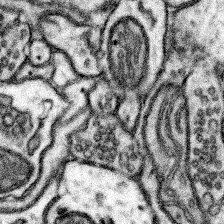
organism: Mouse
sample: Somatosensory cortex neuropil